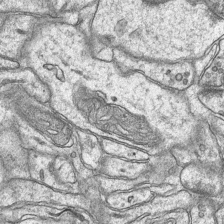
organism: Mouse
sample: CA1 Hippocampus